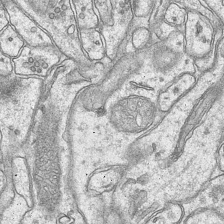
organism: Mouse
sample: CA1 Hippocampus